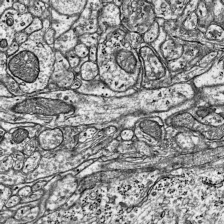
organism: Mouse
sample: Visual Cortex